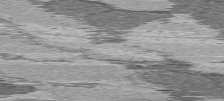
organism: C57BL Mouse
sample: Heart